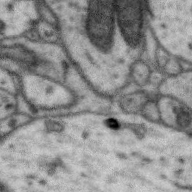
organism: Zebra finch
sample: Brain